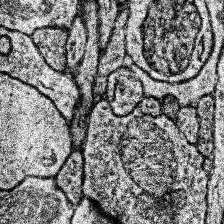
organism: Human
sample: Temporal Lobe